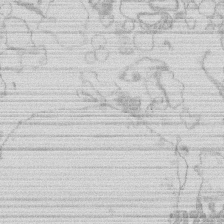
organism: Human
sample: Macrophage cells